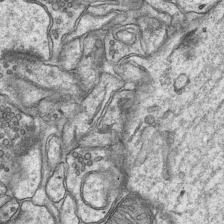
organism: Mouse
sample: CA1 Hippocampus